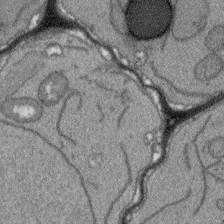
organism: Arabidopsis thaliana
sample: Root tip